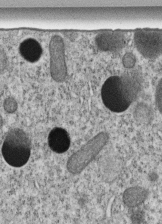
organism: C. elegans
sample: C. elegans embryo early stage